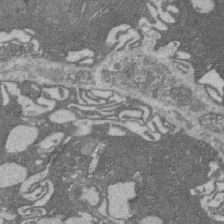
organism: Rat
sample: Salivary granule